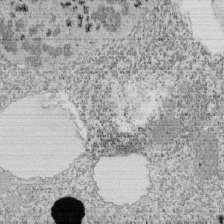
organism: Tetrahymena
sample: Cilia in tetrahymena